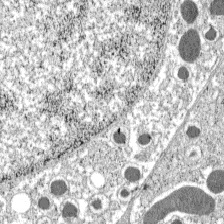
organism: C57BL Mouse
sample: Pancreatic islet